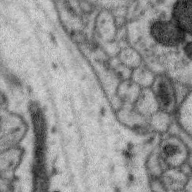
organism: Zebra finch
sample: Brain